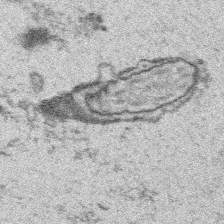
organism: Platynereis dumerilii